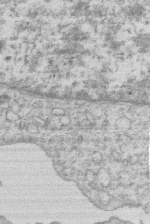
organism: Human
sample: Macrophage cells